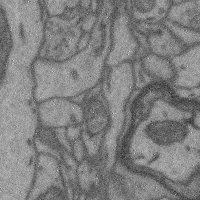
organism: Mouse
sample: Cerebral cortex